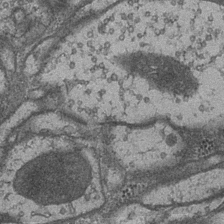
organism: Drosophila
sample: Optic medulla